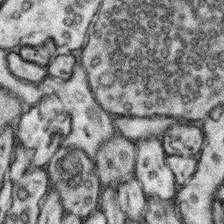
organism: Mouse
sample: Somatosensory cortex neuropil